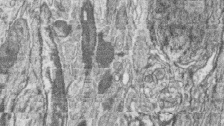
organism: Zebrafish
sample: synaptic ribbons in rod cells and cone cells